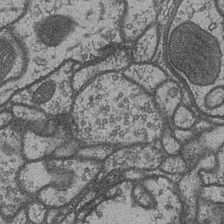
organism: Drosophila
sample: Optic medulla